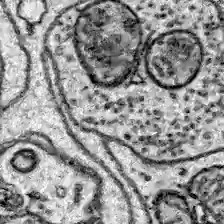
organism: Zebrafish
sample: Brain